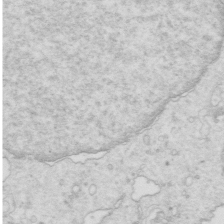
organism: Mouse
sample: Multiciliated cells